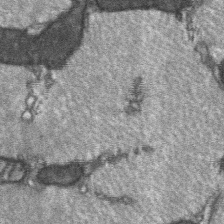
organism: C57BL Mouse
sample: Soleus